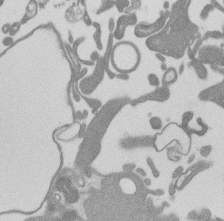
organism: Mouse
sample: Dividing mouse embryo 1 cell stage